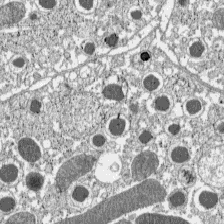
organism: C57BL Mouse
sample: Pancreatic islet